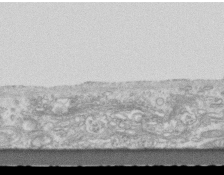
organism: Mouse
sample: Centriole in ependymal cells